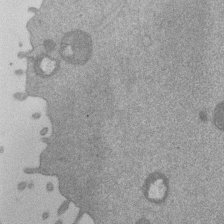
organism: Mouse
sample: Dividing mouse embryo 1 cell stage